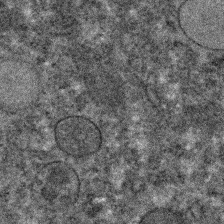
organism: C. elegans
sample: C. elegans embryo